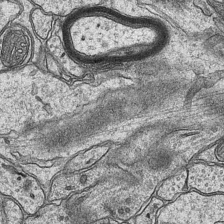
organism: Mouse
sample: CA1 Hippocampus